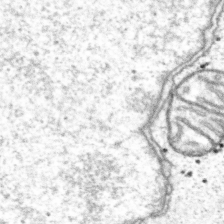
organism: Human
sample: HeLa cells